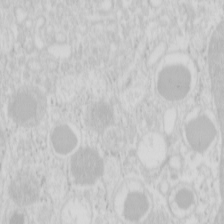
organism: Mouse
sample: Pancreas